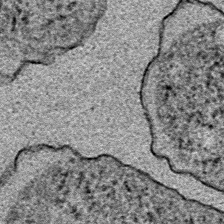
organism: E. coli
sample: E. Coli Bacteria